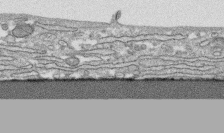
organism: Human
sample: CRL-1474